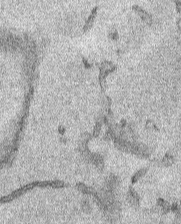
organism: Human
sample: Mitochondria in HCT116 cells